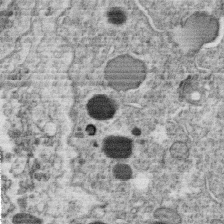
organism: C. elegans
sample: C. elegans oocyte; sperm cells